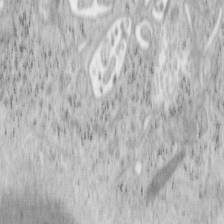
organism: Human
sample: HeLa cells